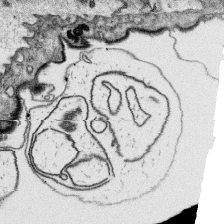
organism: Platynereis dumerilii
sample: Parapodia